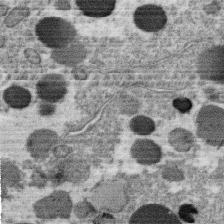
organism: C. elegans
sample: C. elegans oocyte; sperm cells